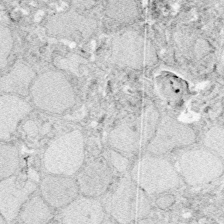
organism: Zebrafish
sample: Whole-Brain